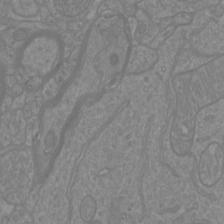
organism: Mouse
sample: Cortical neurons